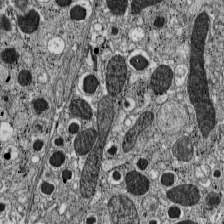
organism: C57BL Mouse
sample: Pancreatic islet